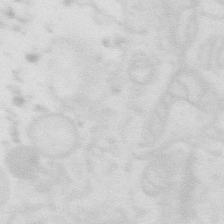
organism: Human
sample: HeLa cells